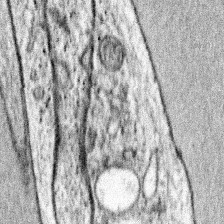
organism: Human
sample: HeLa cells